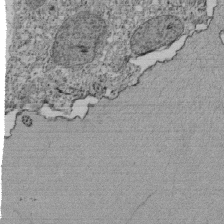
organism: Tetrahymena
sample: Cilia in tetrahymena